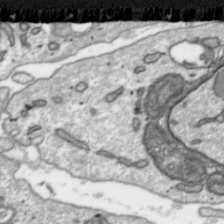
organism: Toxoplasma gondii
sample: Parasites in a vacuole inside a host cell